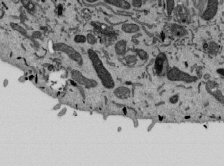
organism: Mouse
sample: ED-1 cell nuclei; centrioles